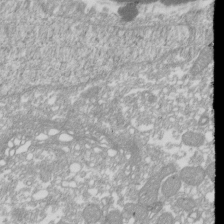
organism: Xenopus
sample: Cilia; centrioles in frog embryo cells